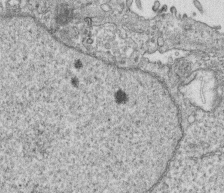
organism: Human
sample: HeLa cell HIV synapse